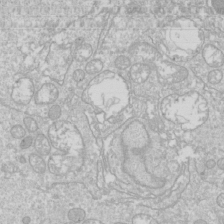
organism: Drosophila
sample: Cell division; meiosis; drosophila spermatocytes